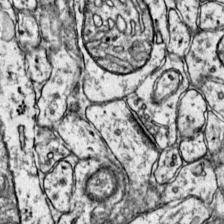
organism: Mouse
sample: Primary visual cortex